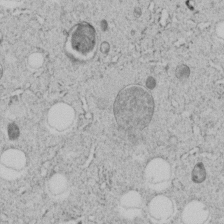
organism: C. elegans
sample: C. elegans embryo early stage